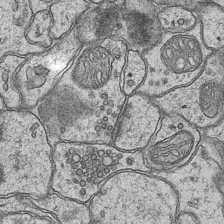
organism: Mouse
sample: CA1 Hippocampus